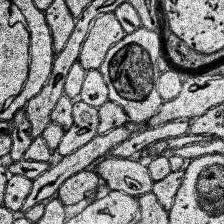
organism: Human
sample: Temporal Lobe